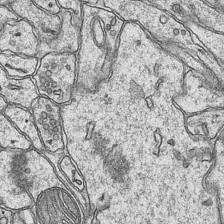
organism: Mouse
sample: CA1 Hippocampus